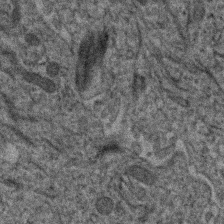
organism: Human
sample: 1205lu cells